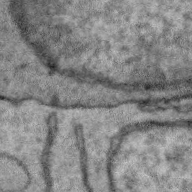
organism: Zebra finch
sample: Brain